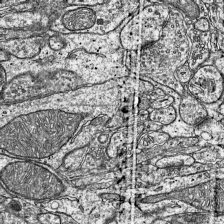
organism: Mouse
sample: Visual Cortex